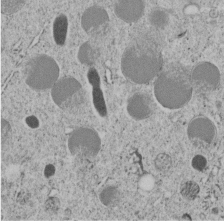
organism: C. elegans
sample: C. elegans embryo early stage